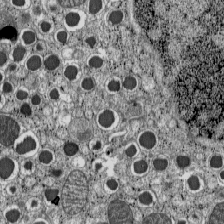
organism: C57BL Mouse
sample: Pancreatic islet